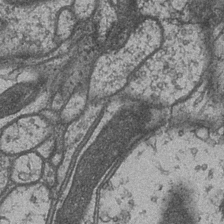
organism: Drosophila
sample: Optic medulla